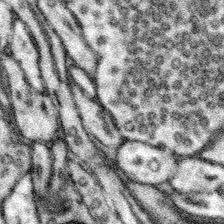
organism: Mouse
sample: Somatosensory cortex neuropil